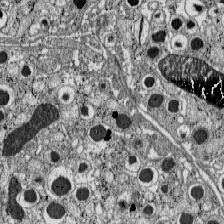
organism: C57BL Mouse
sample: Pancreatic islet